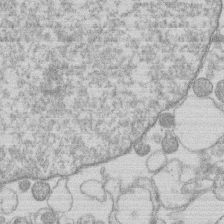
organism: Human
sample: Macrophage cells